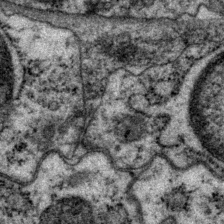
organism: P. pacificus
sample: Pharynx